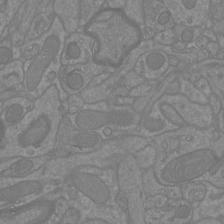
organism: Mouse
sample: Cortical neurons